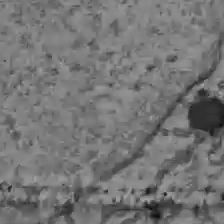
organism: C57BL Mouse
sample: Liver